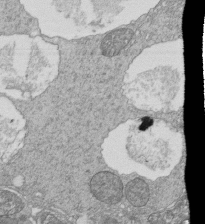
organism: Tetrahymena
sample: Cilia in tetrahymena